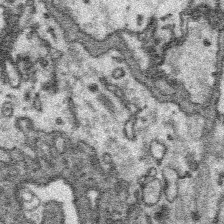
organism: Platynereis dumerilii